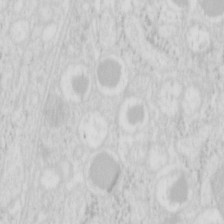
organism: Mouse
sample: Pancreas